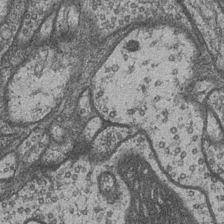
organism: Drosophila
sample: Optic medulla